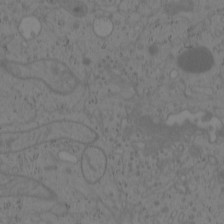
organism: Human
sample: HeLa cells